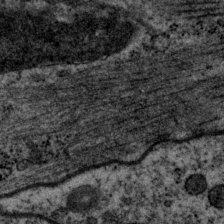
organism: P. pacificus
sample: Pharynx